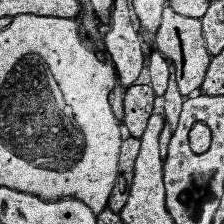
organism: Human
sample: Temporal Lobe